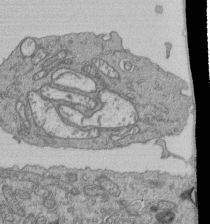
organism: Human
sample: Retinal organoid Rod and Cone cells